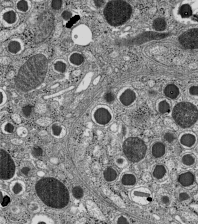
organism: C57BL Mouse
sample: Pancreatic islet